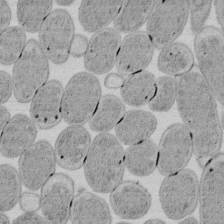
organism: E. coli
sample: Bacterial nucleoid